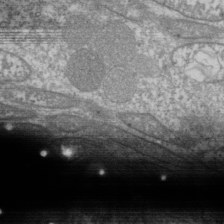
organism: Drosophila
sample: Cell division; meiosis; drosophila spermatocytes